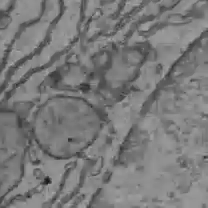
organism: C57BL Mouse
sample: Liver